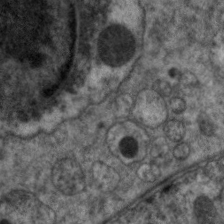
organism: C. elegans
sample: Pharynx